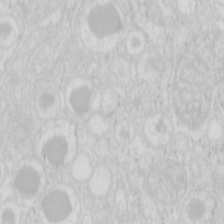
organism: Mouse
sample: Pancreas